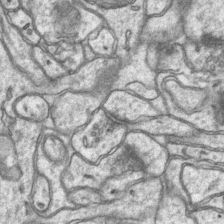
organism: Mouse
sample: CA1 Hippocampus